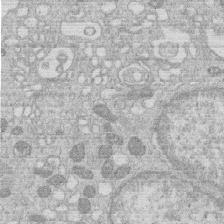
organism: Human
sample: Macrophage cells